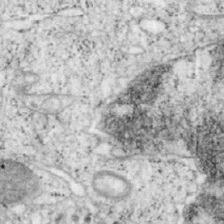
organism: Mouse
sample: OT-I killer T cells with ID8 ovarian cancer cells